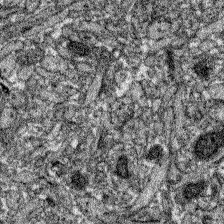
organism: Zebrafish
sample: Larval olfactory bulb